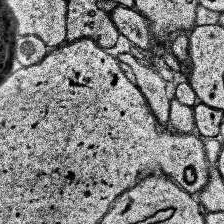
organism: Human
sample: Temporal Lobe